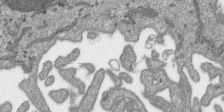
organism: Human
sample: Lung epithelial cells infected with SARS-CoV-2